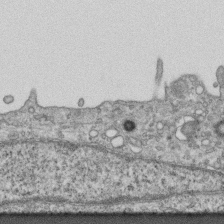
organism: Mouse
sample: Centriole in ependymal cells